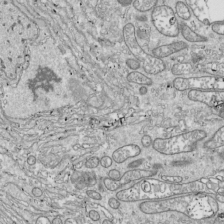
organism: Drosophila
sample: Cell division; meiosis; drosophila spermatocytes